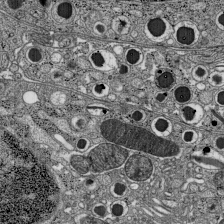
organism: C57BL Mouse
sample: Pancreatic islet